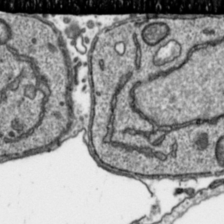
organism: Toxoplasma gondii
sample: Parasites in a vacuole inside a host cell